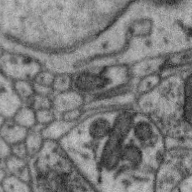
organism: Zebra finch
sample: Brain